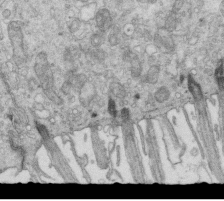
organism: Mouse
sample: Multiciliated cells